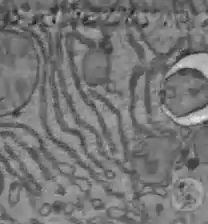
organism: C57BL Mouse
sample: Liver